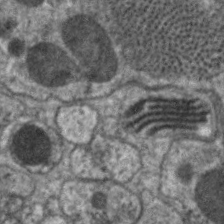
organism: C. elegans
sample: Pharynx